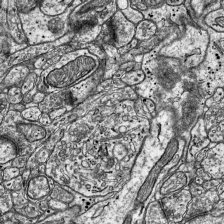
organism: Mouse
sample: Visual Cortex